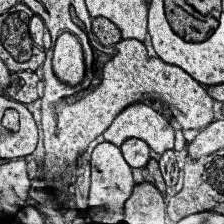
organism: Human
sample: Temporal Lobe